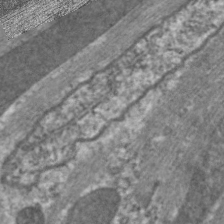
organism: C. elegans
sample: Pharynx